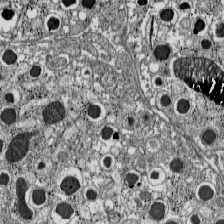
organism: C57BL Mouse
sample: Pancreatic islet